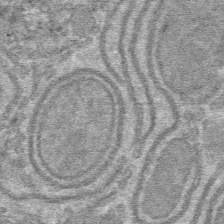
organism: Mouse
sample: Mouse hepatocytes